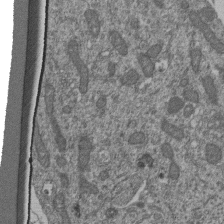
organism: Human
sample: Retinal organoid Rod and Cone cells